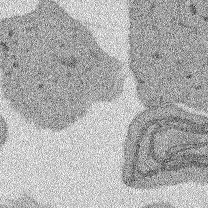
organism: Human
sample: HeLa cells